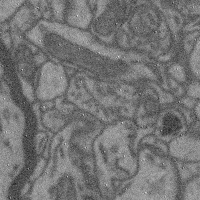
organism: Mouse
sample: Cerebral cortex